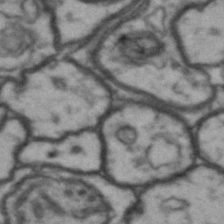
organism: Drosophila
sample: Brain